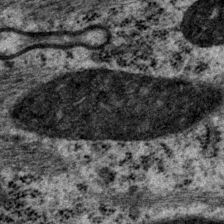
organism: P. pacificus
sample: Pharynx